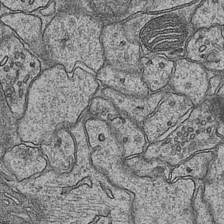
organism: Mouse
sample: CA1 Hippocampus